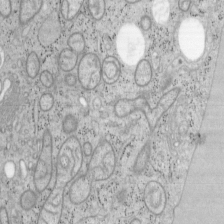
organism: Mouse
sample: OT-I killer T cells with ID8 ovarian cancer cells